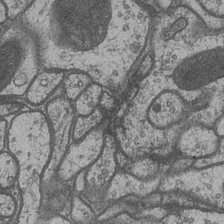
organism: Drosophila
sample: Optic medulla